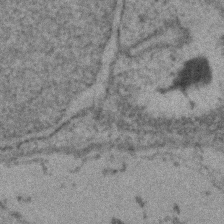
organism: Zebrafish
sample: Zebrafish embryo